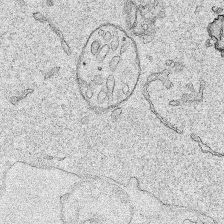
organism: Human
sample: Mitochondria in HCT116 cells